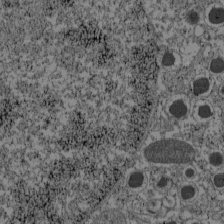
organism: C57BL Mouse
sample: Pancreatic islet